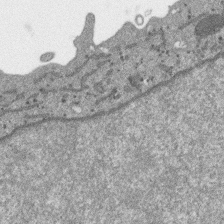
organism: Human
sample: Lung epithelial cells infected with SARS-CoV-2